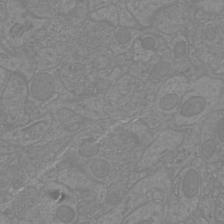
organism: Mouse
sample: Cortical neurons